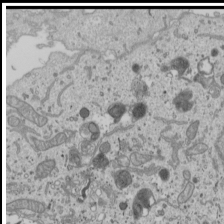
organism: Human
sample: Mitochondria in U2OS cells